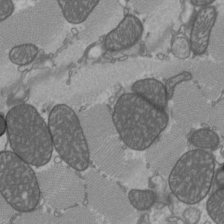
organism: C57BL Mouse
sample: Heart